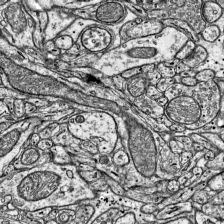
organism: Mouse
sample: Visual Cortex